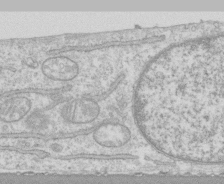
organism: Human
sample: CRL-1474